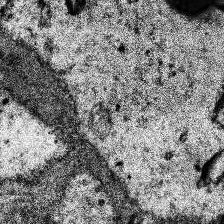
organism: Human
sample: Temporal Lobe